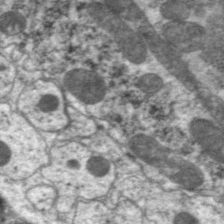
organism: C. elegans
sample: Pharynx